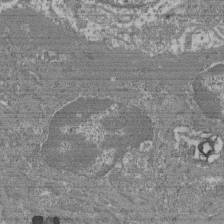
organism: Mouse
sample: Glomerulus